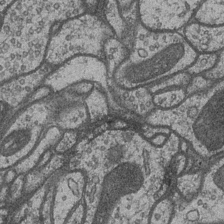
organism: Drosophila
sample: Optic medulla